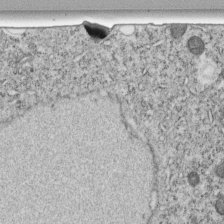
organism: C. elegans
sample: C. elegans embryo early stage